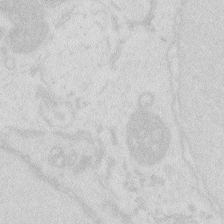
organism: Zebrafish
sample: Macrophage